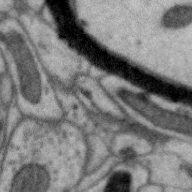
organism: Zebra finch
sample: Brain